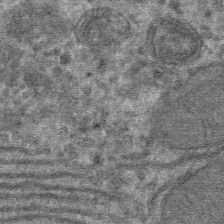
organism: Mouse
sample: Mouse hepatocytes